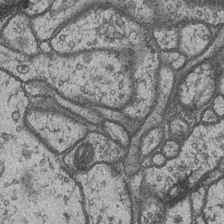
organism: Drosophila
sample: Optic medulla